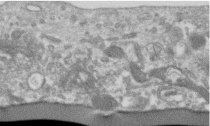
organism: Human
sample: Centriole in RPE cells